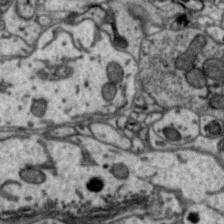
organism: Zebra finch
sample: Brain